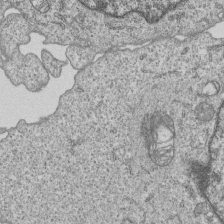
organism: Human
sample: MDA-MB-231 cells